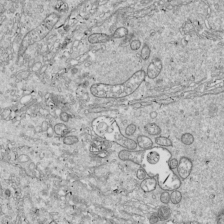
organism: Drosophila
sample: Cell division; meiosis; drosophila spermatocytes